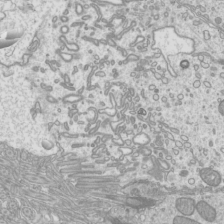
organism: Mouse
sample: Cilia; mouse epididymis